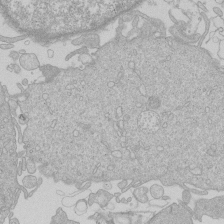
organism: Human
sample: Macrophage cells